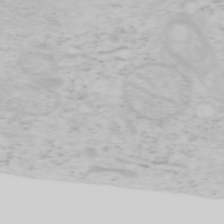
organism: Mouse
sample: OT-I killer T cells with ID8 ovarian cancer cells